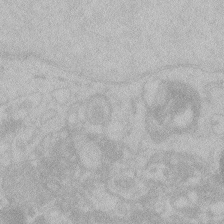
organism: Zebrafish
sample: Macrophage infected with Toxoplasma gondii